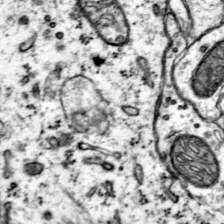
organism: Mouse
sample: Primary visual cortex